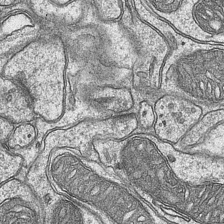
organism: Mouse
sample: CA1 Hippocampus